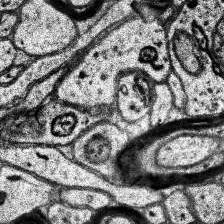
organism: Human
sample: Temporal Lobe